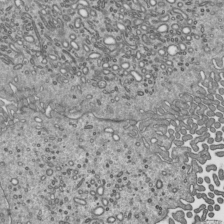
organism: Mouse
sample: Mouse epididymis efferent ductule cilia